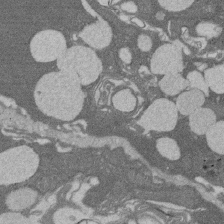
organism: Rat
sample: Salivary granule